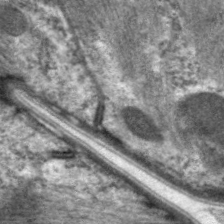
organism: C. elegans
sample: Pharynx